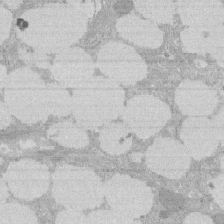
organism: Rat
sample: Salivary granule